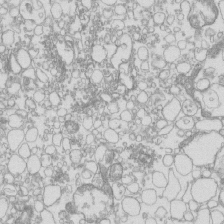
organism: Mouse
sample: Macrophages